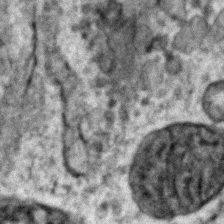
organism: Zebrafish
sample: Zebrafish embryo